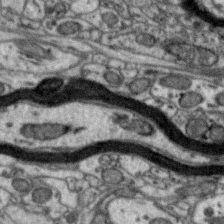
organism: Zebra finch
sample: Brain